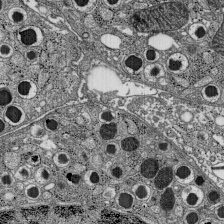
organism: C57BL Mouse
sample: Pancreatic islet